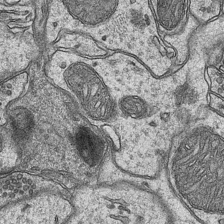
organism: Mouse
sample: CA1 Hippocampus